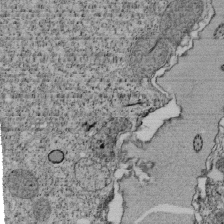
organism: Tetrahymena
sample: Cilia in tetrahymena